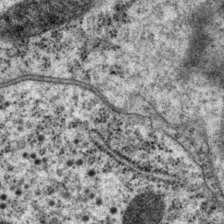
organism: P. pacificus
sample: Pharynx